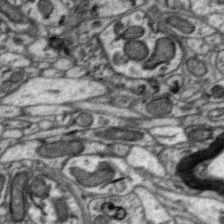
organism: Zebra finch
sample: Brain